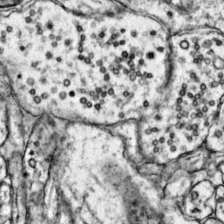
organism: Mouse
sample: Primary visual cortex